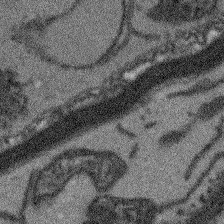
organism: Arabidopsis thaliana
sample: Root tip